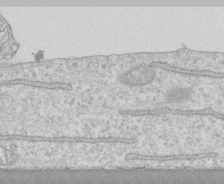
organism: Human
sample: CRL-1474